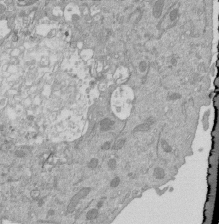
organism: Mouse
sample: ED-1 cell nuclei; centrioles